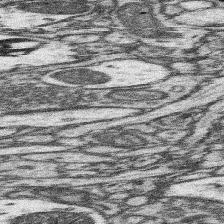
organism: Mouse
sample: Somatosensory cortex neuropil